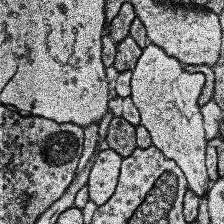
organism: Human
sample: Temporal Lobe